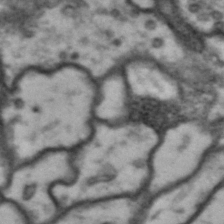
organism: Drosophila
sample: Brain